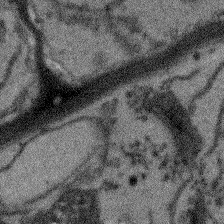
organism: Arabidopsis thaliana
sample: Root tip